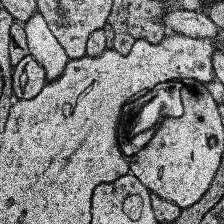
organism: Human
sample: Temporal Lobe